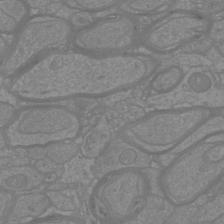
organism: Mouse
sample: Cortical neurons